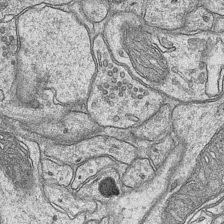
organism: Mouse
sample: CA1 Hippocampus